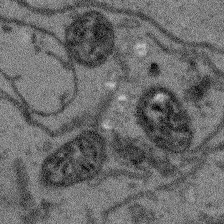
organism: Arabidopsis thaliana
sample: Root tip